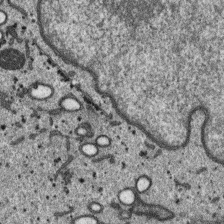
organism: Human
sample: Lung epithelial cells infected with SARS-CoV-2